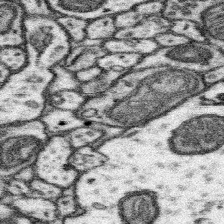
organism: Mouse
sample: Somatosensory cortex neuropil